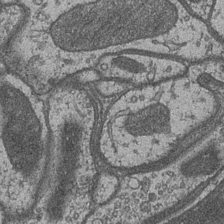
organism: Drosophila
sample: Optic medulla